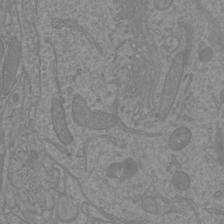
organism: Mouse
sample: Cortical neurons